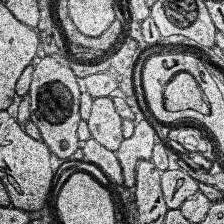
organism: Human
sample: Temporal Lobe